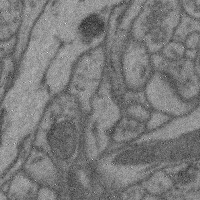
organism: Mouse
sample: Cerebral cortex